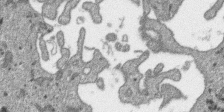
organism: Human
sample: Lung epithelial cells infected with SARS-CoV-2